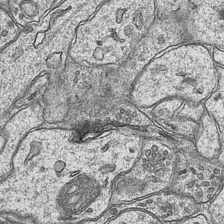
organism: Mouse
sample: CA1 Hippocampus